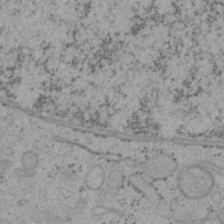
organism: Human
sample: HeLa cells